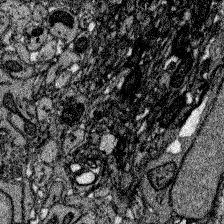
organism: Zebrafish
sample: Larval olfactory bulb